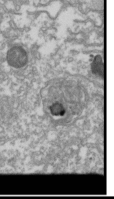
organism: Drosophila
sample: Cell division; meiosis; drosophila spermatocytes